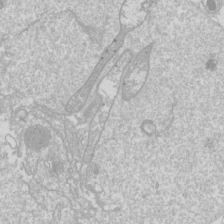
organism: Drosophila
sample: Cell division; meiosis; drosophila spermatocytes